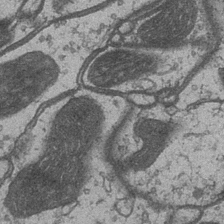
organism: Drosophila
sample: Optic medulla